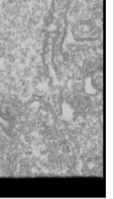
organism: Drosophila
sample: Cell division; meiosis; drosophila spermatocytes